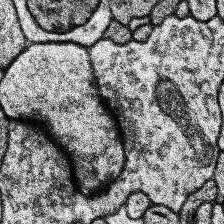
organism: Human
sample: Temporal Lobe